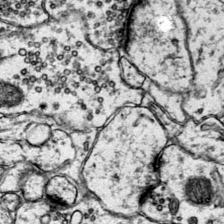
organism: Mouse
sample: Primary visual cortex